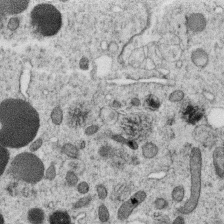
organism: C. elegans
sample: C. elegans oocyte; sperm cells